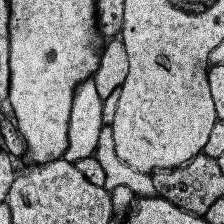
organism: Human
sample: Temporal Lobe